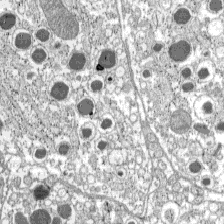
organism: C57BL Mouse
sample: Pancreatic islet